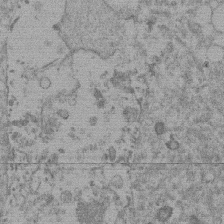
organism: Mouse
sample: Dividing mouse embryo 1 cell stage